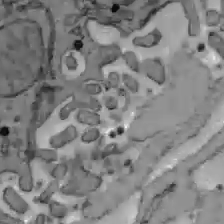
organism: C57BL Mouse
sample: Liver